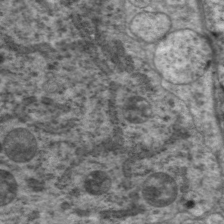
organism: C. elegans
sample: Pharynx